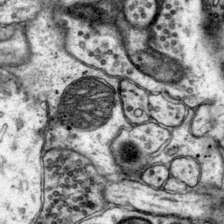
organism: Mouse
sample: Primary visual cortex